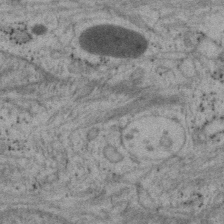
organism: Human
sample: HeLa cells